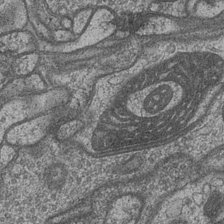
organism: Drosophila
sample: Optic medulla